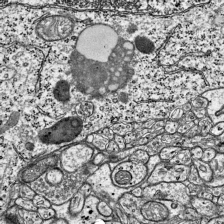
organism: Mouse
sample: Visual Cortex